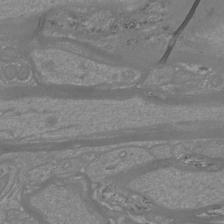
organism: Mouse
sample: Cortical neurons